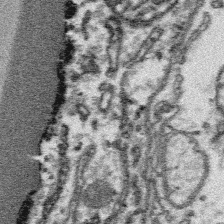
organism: Platynereis dumerilii